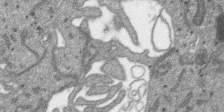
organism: Human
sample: Lung epithelial cells infected with SARS-CoV-2